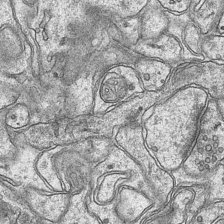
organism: Mouse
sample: CA1 Hippocampus